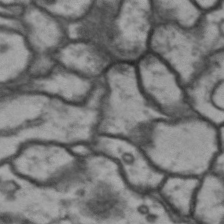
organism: Drosophila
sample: Brain